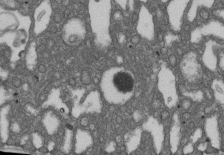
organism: Drosophila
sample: Nephrocyte